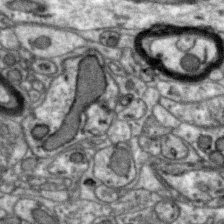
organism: Zebra finch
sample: Brain